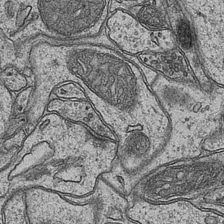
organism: Mouse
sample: CA1 Hippocampus